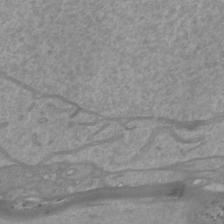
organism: Mouse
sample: Cortical neurons